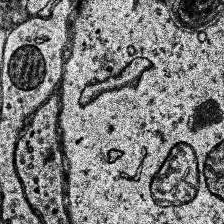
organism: Human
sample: Temporal Lobe